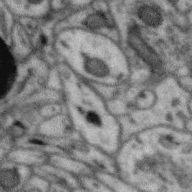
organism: Zebra finch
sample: Brain